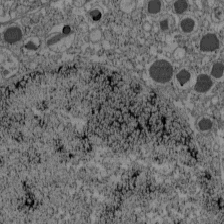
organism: C57BL Mouse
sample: Pancreatic islet